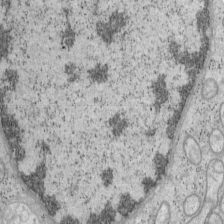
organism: Mouse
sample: OT-I killer T cells with ID8 ovarian cancer cells